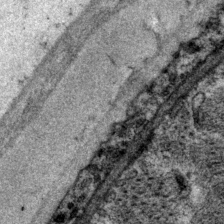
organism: P. pacificus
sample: Pharynx